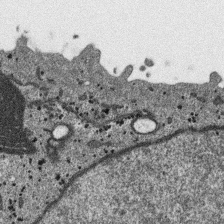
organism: Human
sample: Lung epithelial cells infected with SARS-CoV-2